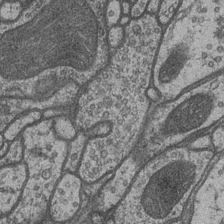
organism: Drosophila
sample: Optic medulla